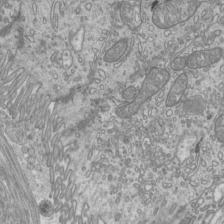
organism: Mouse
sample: Cilia; mouse epididymis